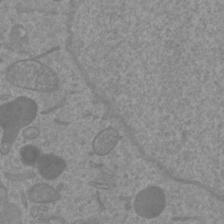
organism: Mouse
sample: Cortical neurons